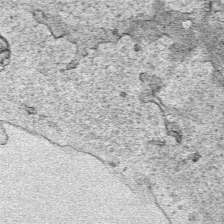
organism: Human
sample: Mitochondria in HCT116 cells